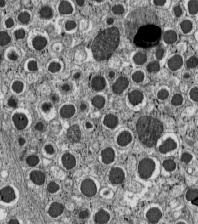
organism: C57BL Mouse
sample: Pancreatic islet